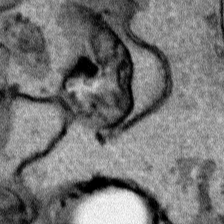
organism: Human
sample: Mitochondria in HCT116 cells